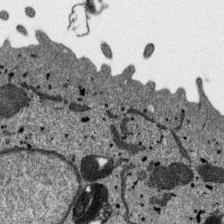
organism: Human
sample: Lung epithelial cells, uninfected (mock) control